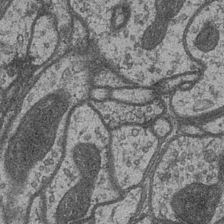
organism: Drosophila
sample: Optic medulla